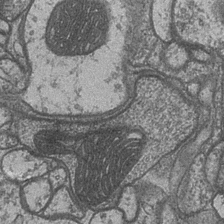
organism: Drosophila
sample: Optic medulla